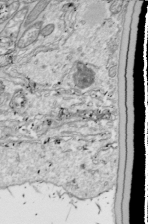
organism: Drosophila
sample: Cell division; meiosis; drosophila spermatocytes